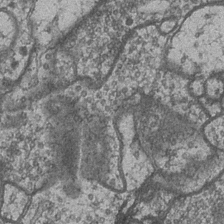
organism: Drosophila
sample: Optic medulla